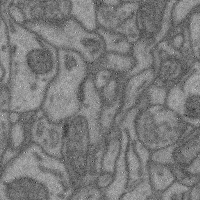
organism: Mouse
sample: Cerebral cortex